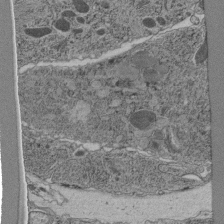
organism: C. elegans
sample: C. elegans pharynx